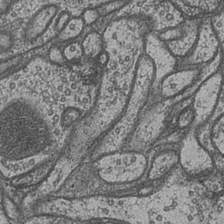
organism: Drosophila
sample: Optic medulla